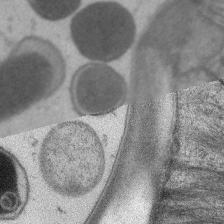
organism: C. elegans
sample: Pharynx